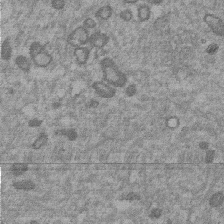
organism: Mouse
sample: Dividing mouse embryo 1 cell stage